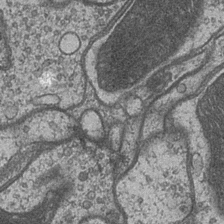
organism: Drosophila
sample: Optic medulla